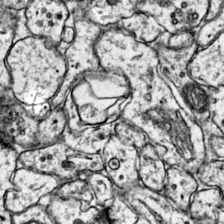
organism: Mouse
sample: Primary visual cortex